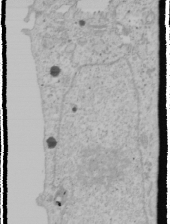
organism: Human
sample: Mitochondria in U2OS cells